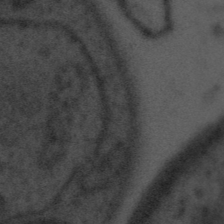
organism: Tuwongella immobilis